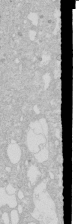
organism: Human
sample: Caco-2 cells